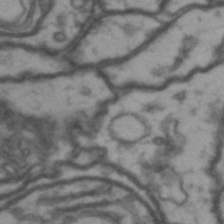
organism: Drosophila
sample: Brain